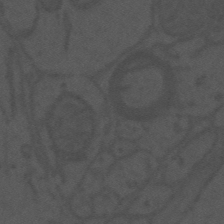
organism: Mouse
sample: Suprachiasmatic nucleus